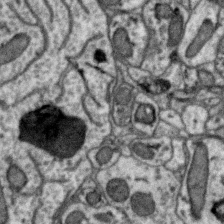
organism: Zebra finch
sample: Brain